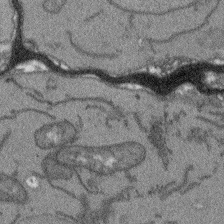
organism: Arabidopsis thaliana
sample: Root tip